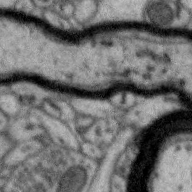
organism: Zebra finch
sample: Brain